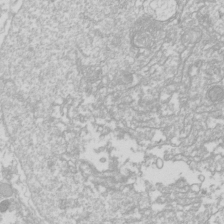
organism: Drosophila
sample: Cell division; meiosis; drosophila spermatocytes